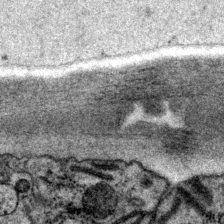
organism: P. pacificus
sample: Pharynx